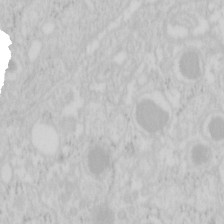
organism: Mouse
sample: Pancreas